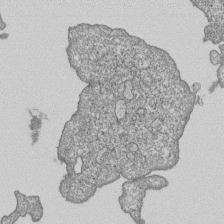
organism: Human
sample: MDA-MB-231 cells